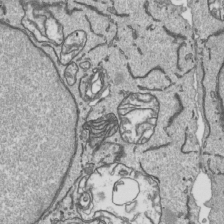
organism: Human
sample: Mitochondria in HCT116 cells